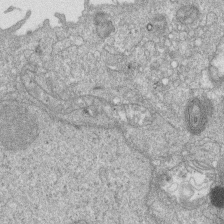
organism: Human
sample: HeLa cell HIV synapse